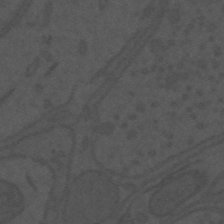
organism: Mouse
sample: Suprachiasmatic nucleus